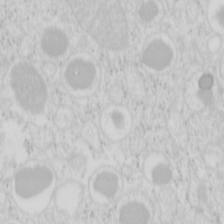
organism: Mouse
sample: Pancreas